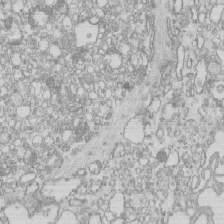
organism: Mouse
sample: Macrophages